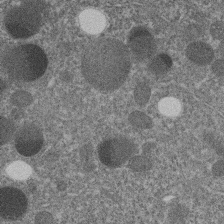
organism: C. elegans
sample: C. elegans embryo early stage